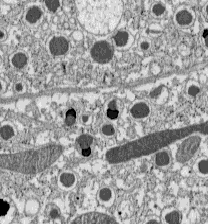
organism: C57BL Mouse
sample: Pancreatic islet